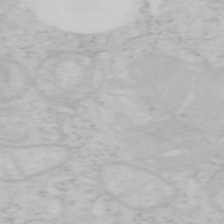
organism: Mouse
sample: OT-I killer T cells with ID8 ovarian cancer cells